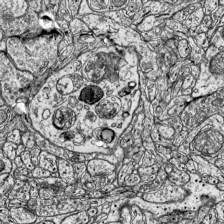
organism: Mouse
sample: Visual Cortex